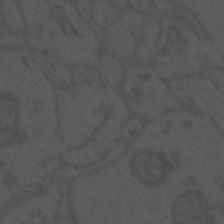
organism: Mouse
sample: Suprachiasmatic nucleus